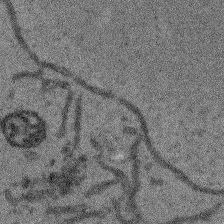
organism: Arabidopsis thaliana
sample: Root tip